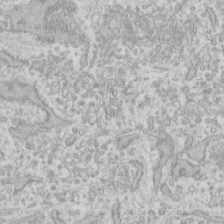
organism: Human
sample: Fibroblast cells